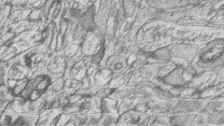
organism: Zebrafish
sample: synaptic ribbons in rod cells and cone cells